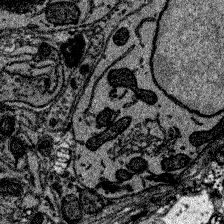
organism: Zebrafish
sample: Larval olfactory bulb